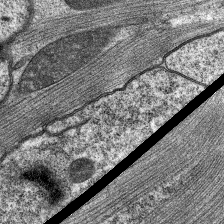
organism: C. elegans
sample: Pharynx